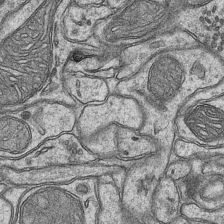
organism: Mouse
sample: CA1 Hippocampus